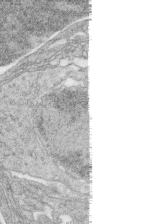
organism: Zebrafish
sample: synaptic ribbons in rod cells and cone cells